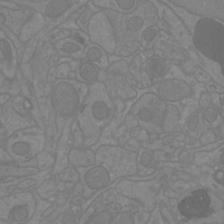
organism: Mouse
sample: Cortical neurons